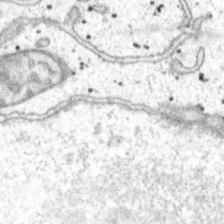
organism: Human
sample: HeLa cells